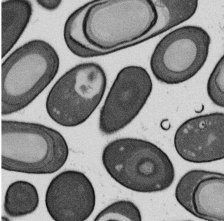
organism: B. subtilis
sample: Bacterial spore